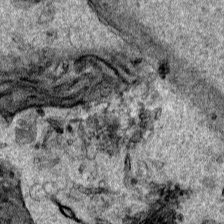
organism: Human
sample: Mitochondria in HCT116 cells